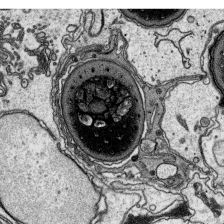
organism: Platynereis dumerilii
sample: Parapodia